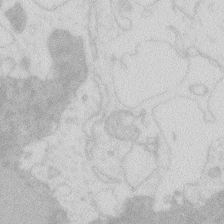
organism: Zebrafish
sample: Macrophage